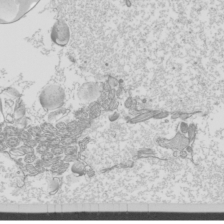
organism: Mouse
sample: Cilia; mouse epididymis